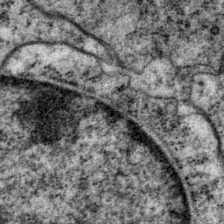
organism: P. pacificus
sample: Pharynx